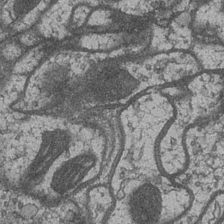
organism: Drosophila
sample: Optic medulla